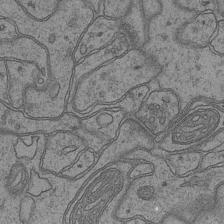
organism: Mouse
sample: CA1 Hippocampus